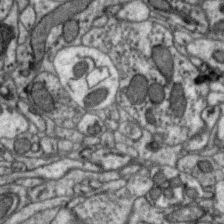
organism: Zebra finch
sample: Brain